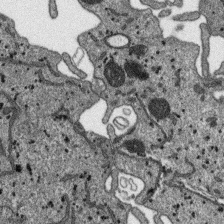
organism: Human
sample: Lung epithelial cells infected with SARS-CoV-2